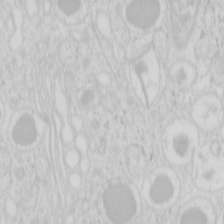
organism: Mouse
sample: Pancreas